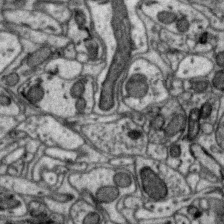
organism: Zebra finch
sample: Brain